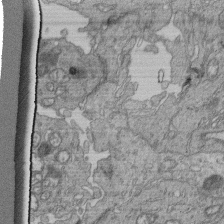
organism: Human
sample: Retinal organoid Rod and Cone cells